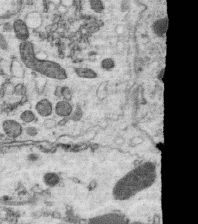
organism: C. elegans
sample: C. elegans oocyte; sperm cells